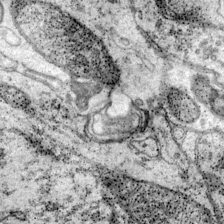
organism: Mouse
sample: Primary visual cortex